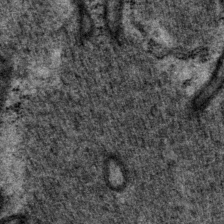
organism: P. pacificus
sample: Pharynx